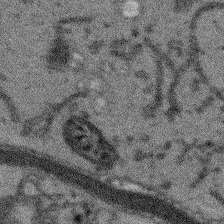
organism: Arabidopsis thaliana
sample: Root tip